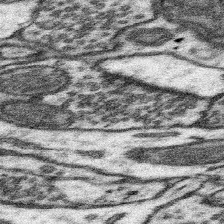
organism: Mouse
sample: Somatosensory cortex neuropil